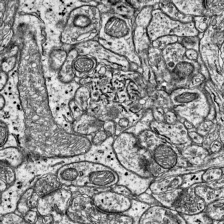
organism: Mouse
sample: Visual Cortex